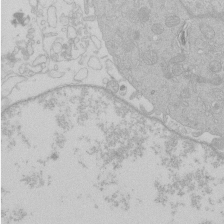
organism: Human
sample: Macrophage cells